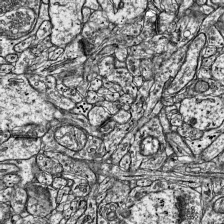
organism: Mouse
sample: Visual Cortex